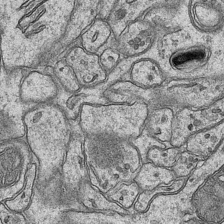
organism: Mouse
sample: CA1 Hippocampus